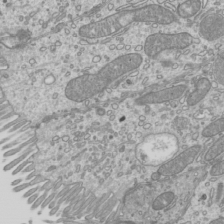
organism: Mouse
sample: Cilia; mouse epididymis